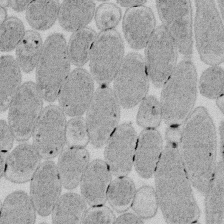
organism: E. coli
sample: Bacterial nucleoid